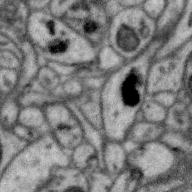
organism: Zebra finch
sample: Brain